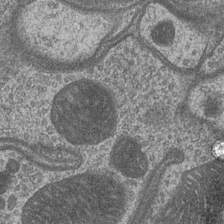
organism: Drosophila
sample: Optic medulla